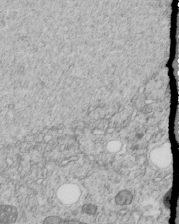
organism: C. elegans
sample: C. elegans embryo early stage